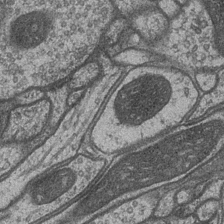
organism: Drosophila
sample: Optic medulla